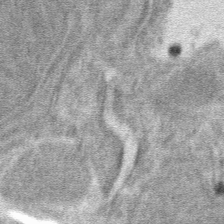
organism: Mouse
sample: Mouse hepatocytes